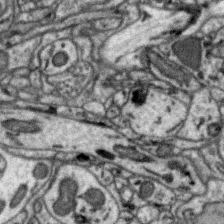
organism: Zebra finch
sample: Brain